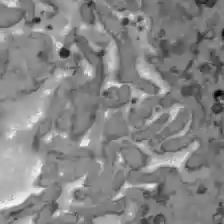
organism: C57BL Mouse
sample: Liver